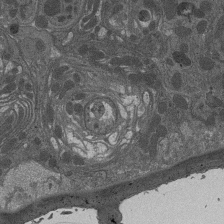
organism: Drosophila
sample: Antenna